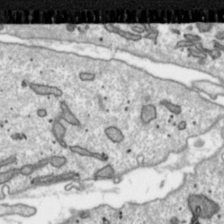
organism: Toxoplasma gondii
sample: Parasites in a vacuole inside a host cell